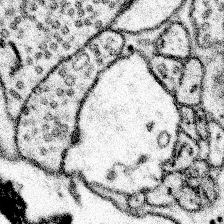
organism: Mouse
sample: Somatosensory cortex neuropil